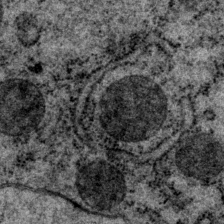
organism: P. pacificus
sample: Pharynx